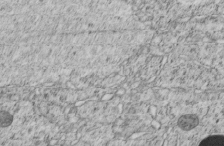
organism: C. elegans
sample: C. elegans embryo early stage